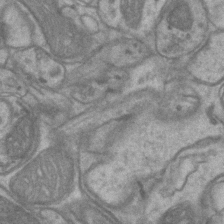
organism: Mouse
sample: CA1 Hippocampus